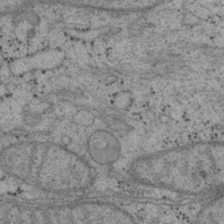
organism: Human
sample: HeLa cells